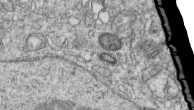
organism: Human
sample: HeLa cell HIV synapse